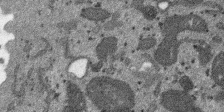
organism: Human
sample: Lung epithelial cells infected with SARS-CoV-2